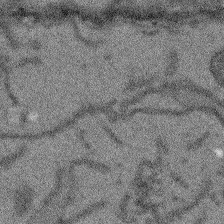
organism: Arabidopsis thaliana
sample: Root tip